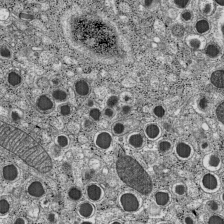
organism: C57BL Mouse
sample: Pancreatic islet